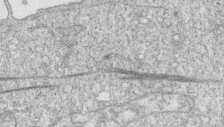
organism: Human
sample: HeLa cell HIV synapse